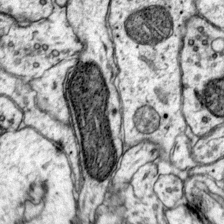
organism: Mouse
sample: Primary visual cortex